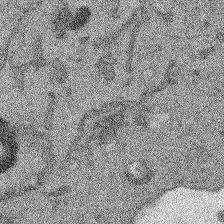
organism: Human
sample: HeLa cells